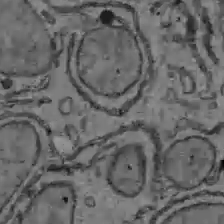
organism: C57BL Mouse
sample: Liver